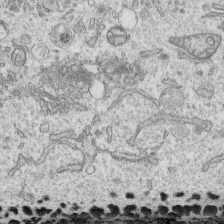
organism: Human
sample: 1205lu cells